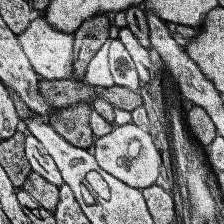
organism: Human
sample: Temporal Lobe